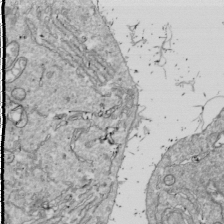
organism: Drosophila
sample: Cell division; meiosis; drosophila spermatocytes